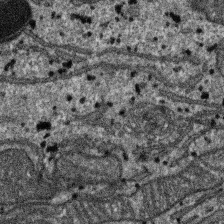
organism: Human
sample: Lung epithelial cells infected with SARS-CoV-2